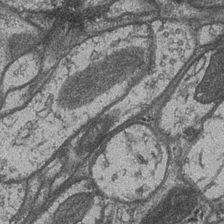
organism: Drosophila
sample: Optic medulla